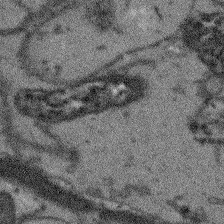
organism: Arabidopsis thaliana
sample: Root tip